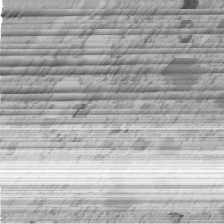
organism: C. elegans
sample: C. elegans embryo early stage